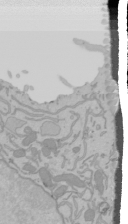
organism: Mouse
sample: Cancer cell death in ED-1 cells